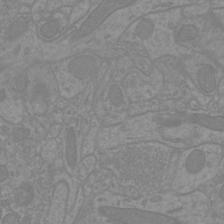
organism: Mouse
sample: Cortical neurons